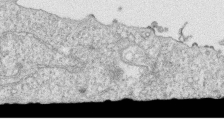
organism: Human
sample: HeLa cell HIV synapse